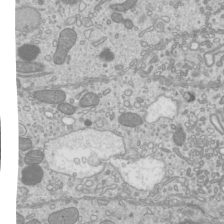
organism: Mouse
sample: Cilia; mouse epididymis